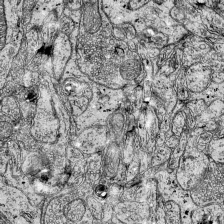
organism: Mouse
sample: Visual Cortex